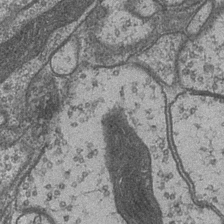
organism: Drosophila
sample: Optic medulla